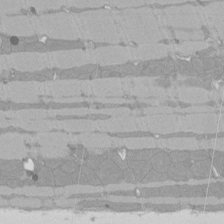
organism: Rat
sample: Left ventricle